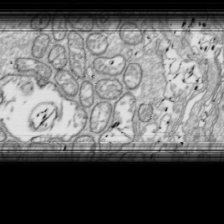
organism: Drosophila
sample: Cell division; meiosis; drosophila spermatocytes